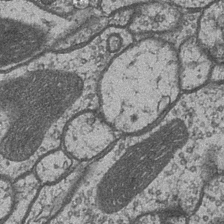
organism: Drosophila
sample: Optic medulla